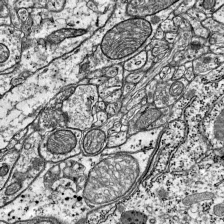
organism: Mouse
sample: Visual Cortex